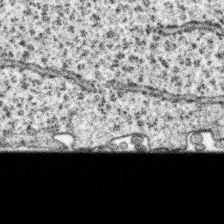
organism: Human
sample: HeLa cells